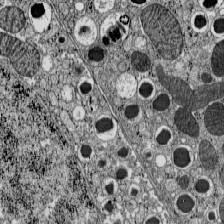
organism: C57BL Mouse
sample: Pancreatic islet